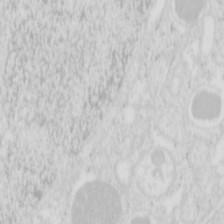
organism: Mouse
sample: Pancreas